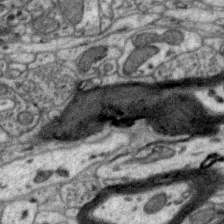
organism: Zebra finch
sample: Brain